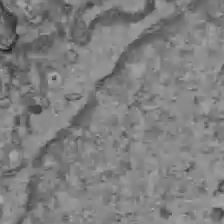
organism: C57BL Mouse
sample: Liver